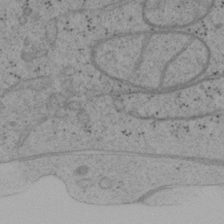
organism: Human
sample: HeLa cells